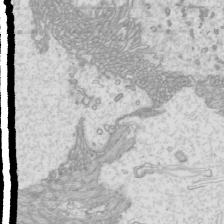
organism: Mouse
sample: Cilia; mouse epididymis